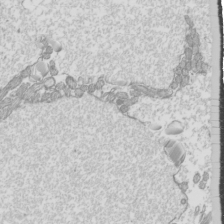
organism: Mouse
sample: Cilia; mouse epididymis